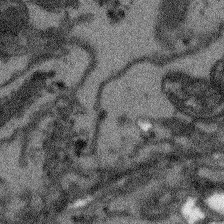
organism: Arabidopsis thaliana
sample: Root tip